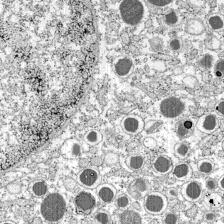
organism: C57BL Mouse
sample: Pancreatic islet